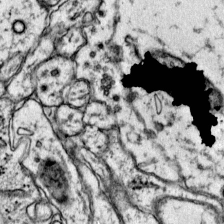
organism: Mouse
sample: Primary visual cortex